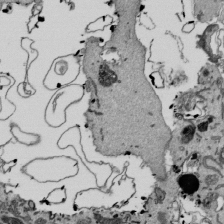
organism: Mouse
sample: ED-1 cell nuclei; centrioles